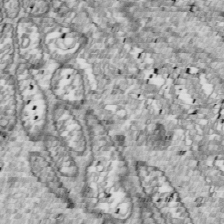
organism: Drosophila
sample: Cell division; meiosis; drosophila spermatocytes